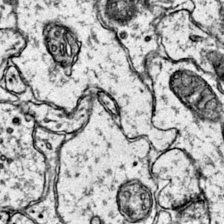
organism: Mouse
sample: Primary visual cortex